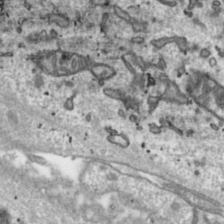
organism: Toxoplasma gondii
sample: Parasites in a vacuole inside a host cell